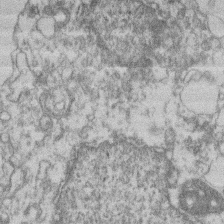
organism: Mouse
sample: T cell stromal cell synapse